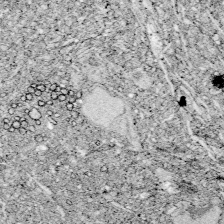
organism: Zebrafish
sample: Whole-Brain